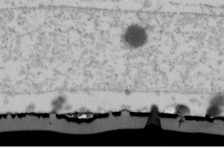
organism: Human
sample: U2-OS cells